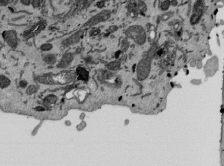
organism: Mouse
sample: ED-1 cell nuclei; centrioles